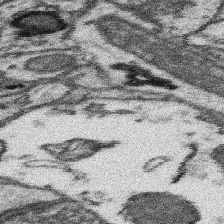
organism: Mouse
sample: Somatosensory cortex neuropil